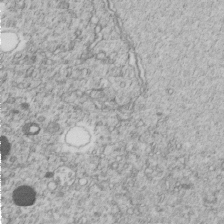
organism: C. elegans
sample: C. elegans embryo early stage